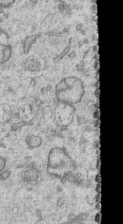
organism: Human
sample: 1205lu cells